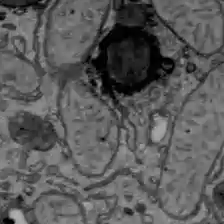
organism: C57BL Mouse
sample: Liver